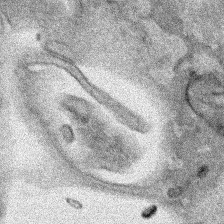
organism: Human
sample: Mitochondria in HCT116 cells